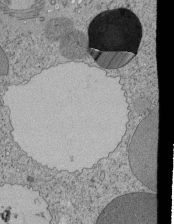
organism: Tetrahymena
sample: Cilia in tetrahymena